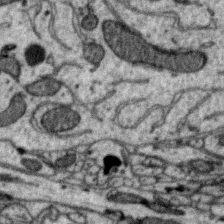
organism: Zebra finch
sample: Brain